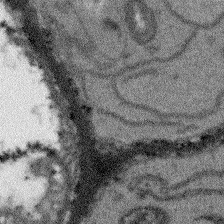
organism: Arabidopsis thaliana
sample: Root tip